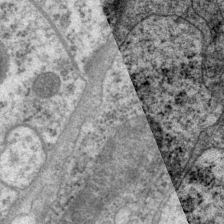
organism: P. pacificus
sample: Pharynx